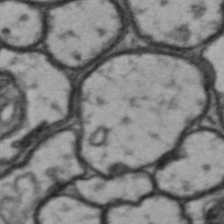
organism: Drosophila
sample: Brain